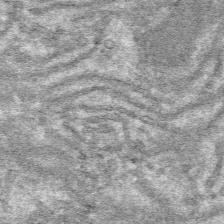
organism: Mouse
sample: Mouse hepatocytes